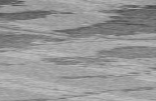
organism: C57BL Mouse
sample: Heart